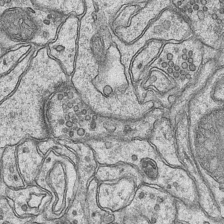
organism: Mouse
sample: CA1 Hippocampus